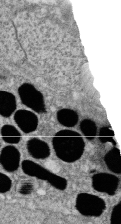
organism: Zebrafish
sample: Cilia; retinal pigment epithelium